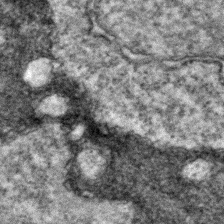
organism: Zebrafish